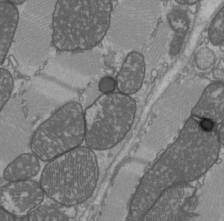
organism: C57BL Mouse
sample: Heart